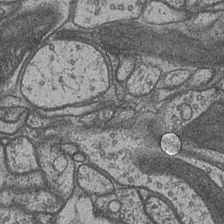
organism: Drosophila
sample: Optic medulla